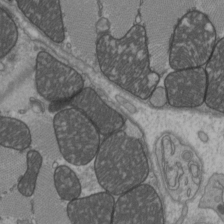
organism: C57BL Mouse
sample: Heart